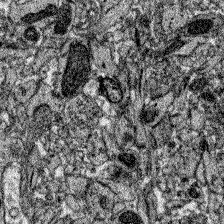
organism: Zebrafish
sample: Larval olfactory bulb